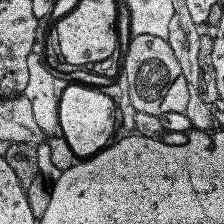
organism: Human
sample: Temporal Lobe